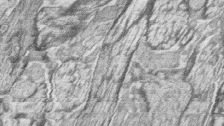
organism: Zebrafish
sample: synaptic ribbons in rod cells and cone cells